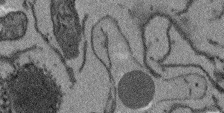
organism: Arabidopsis thaliana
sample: Root tip